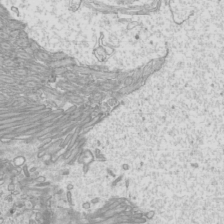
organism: Mouse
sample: Cilia; mouse epididymis